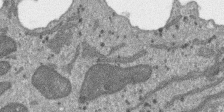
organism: Human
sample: Lung epithelial cells infected with SARS-CoV-2